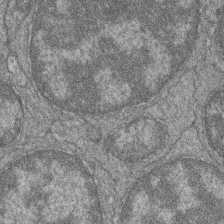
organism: Zebrafish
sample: Cilia; retinal pigment epithelium